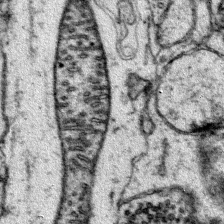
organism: Mouse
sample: Primary visual cortex